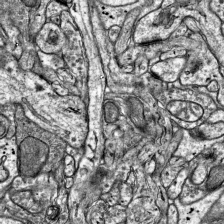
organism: Mouse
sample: Visual Cortex